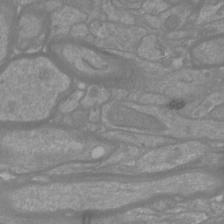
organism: Mouse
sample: Cortical neurons